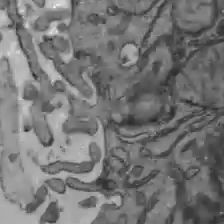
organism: C57BL Mouse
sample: Liver